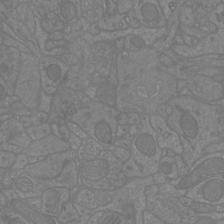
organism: Mouse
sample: Cortical neurons